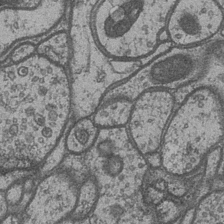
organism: Drosophila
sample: Optic medulla